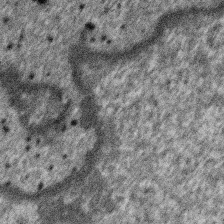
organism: Human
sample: Lung epithelial cells infected with SARS-CoV-2